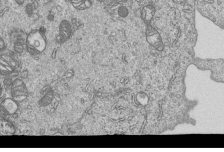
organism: Human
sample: MDA-MB-231 cells